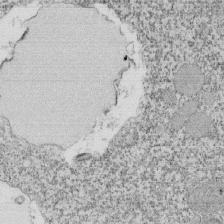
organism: Tetrahymena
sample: Cilia in tetrahymena